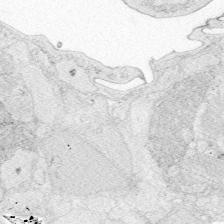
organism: Zebrafish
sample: Whole-Brain